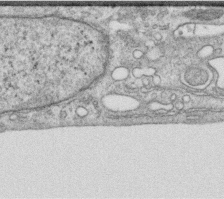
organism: Human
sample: Centriole in RPE cells